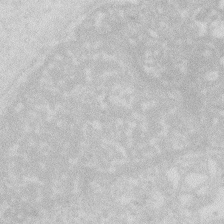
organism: Zebrafish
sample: Macrophage